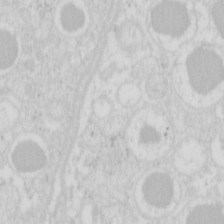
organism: Mouse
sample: Pancreas